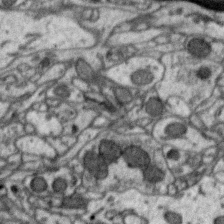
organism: Zebra finch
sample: Brain